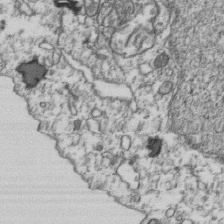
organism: Human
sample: Activated Jurkat CD4+ T cells